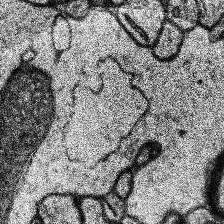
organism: Human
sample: Temporal Lobe